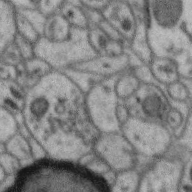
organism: Zebra finch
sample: Brain